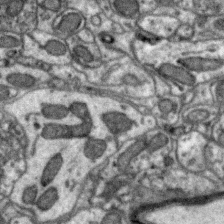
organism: Zebra finch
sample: Brain